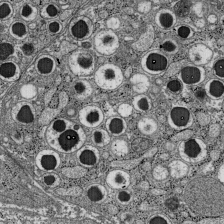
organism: C57BL Mouse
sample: Pancreatic islet